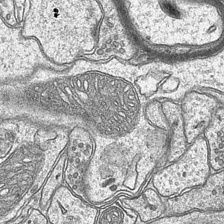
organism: Mouse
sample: CA1 Hippocampus